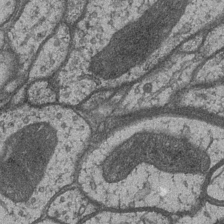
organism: Drosophila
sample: Optic medulla